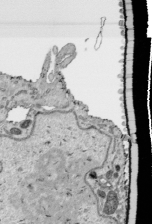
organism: Human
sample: Mitochondria in HCT116 cells